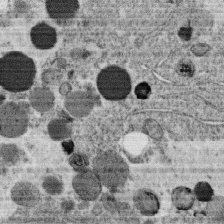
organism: C. elegans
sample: C. elegans oocyte; sperm cells